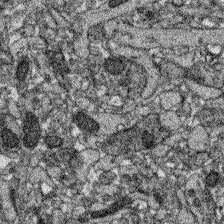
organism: Zebrafish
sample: Larval olfactory bulb